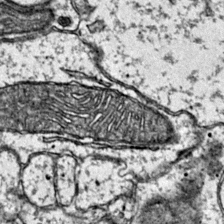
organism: Mouse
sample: Primary visual cortex